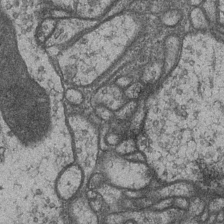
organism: Drosophila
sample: Optic medulla